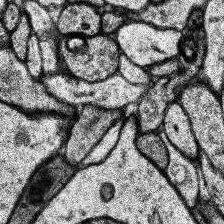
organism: Human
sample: Temporal Lobe